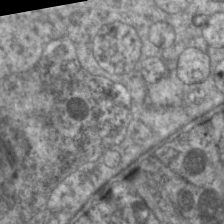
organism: C. elegans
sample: Pharynx